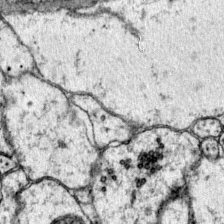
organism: Mouse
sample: Primary visual cortex